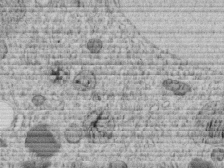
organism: C. elegans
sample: C. elegans embryo early stage